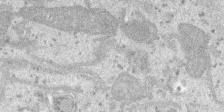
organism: Human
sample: Lung epithelial cells infected with SARS-CoV-2